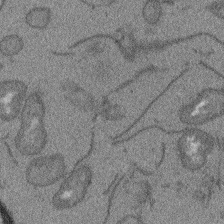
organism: Arabidopsis thaliana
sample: Root tip